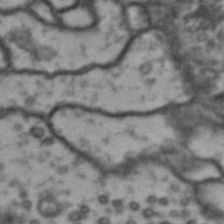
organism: Drosophila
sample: Brain